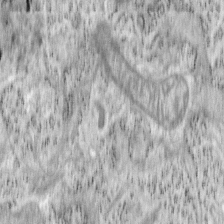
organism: Human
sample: HeLa cells